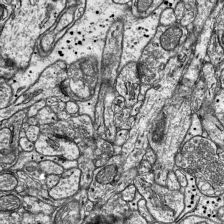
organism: Mouse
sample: Visual Cortex